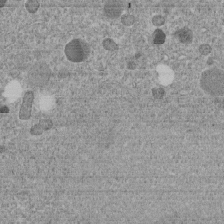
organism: C. elegans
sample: C. elegans embryo early stage